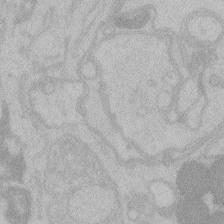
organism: Zebrafish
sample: Macrophage infected with Toxoplasma gondii